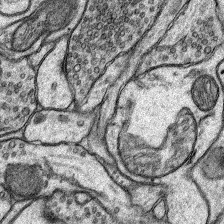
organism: Rat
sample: Hippocampus